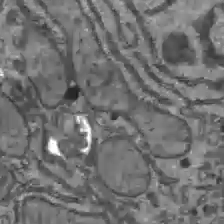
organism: C57BL Mouse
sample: Liver